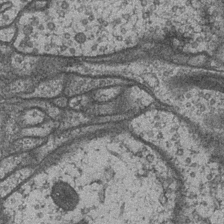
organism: Drosophila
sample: Optic medulla